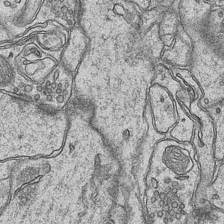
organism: Mouse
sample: CA1 Hippocampus